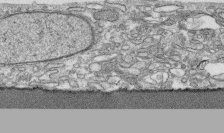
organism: Human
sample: CRL-1474